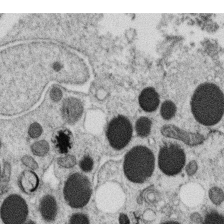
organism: C. elegans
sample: C. elegans oocyte; sperm cells